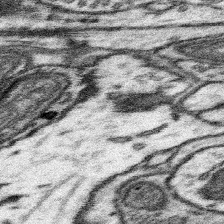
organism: Mouse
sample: Somatosensory cortex neuropil